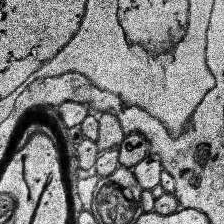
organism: Human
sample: Temporal Lobe